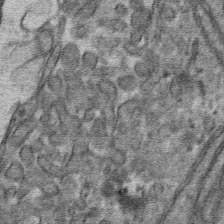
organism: Mouse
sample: Mouse hepatocytes